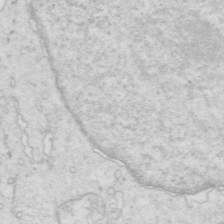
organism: Mouse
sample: Multiciliated cells